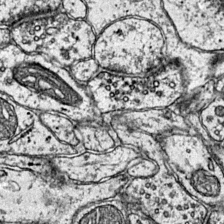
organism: Mouse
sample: Primary visual cortex